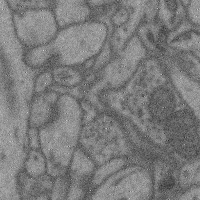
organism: Mouse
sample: Cerebral cortex